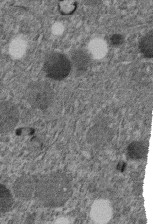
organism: C. elegans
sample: C. elegans embryo early stage